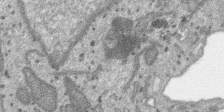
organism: Human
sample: Lung epithelial cells infected with SARS-CoV-2